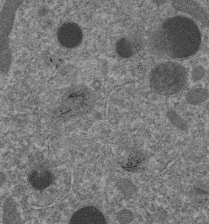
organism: C. elegans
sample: C. elegans embryo early stage